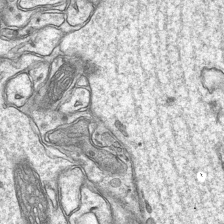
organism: Mouse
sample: CA1 Hippocampus